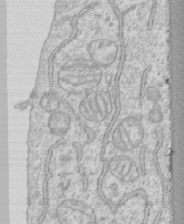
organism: Human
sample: CRL-1474